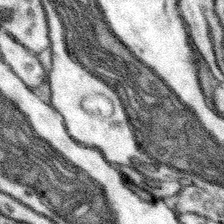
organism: Mouse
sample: Somatosensory cortex neuropil